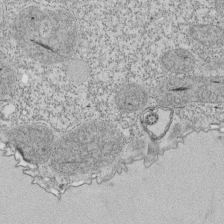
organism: Tetrahymena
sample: Cilia in tetrahymena